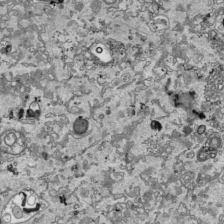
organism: Human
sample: Mitochondria in HCT116 cells